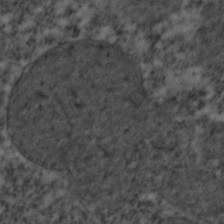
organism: C. elegans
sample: C. elegans embryo